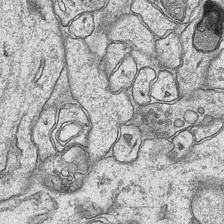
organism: Mouse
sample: CA1 Hippocampus